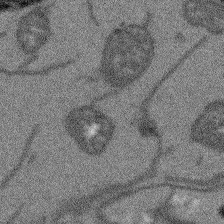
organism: Arabidopsis thaliana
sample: Root tip